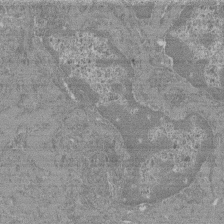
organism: Mouse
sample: Glomerulus